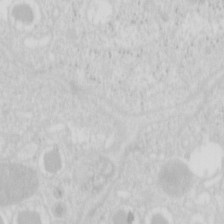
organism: Mouse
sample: Pancreas